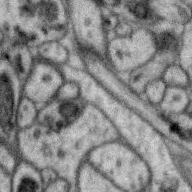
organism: Zebra finch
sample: Brain